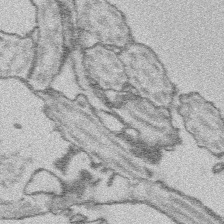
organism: Platynereis dumerilii